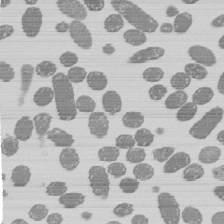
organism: E. coli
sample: Bacterial nucleoid